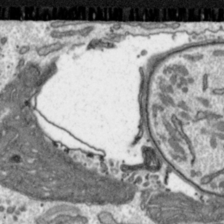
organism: Toxoplasma gondii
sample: Parasites in a vacuole inside a host cell